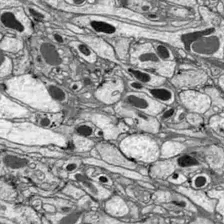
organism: Drosophila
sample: Optic lobe